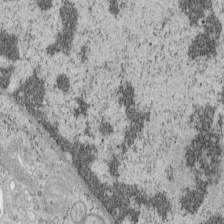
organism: Mouse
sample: OT-I killer T cells with ID8 ovarian cancer cells